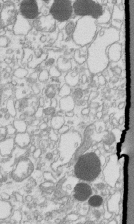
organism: Mouse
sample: Macrophages